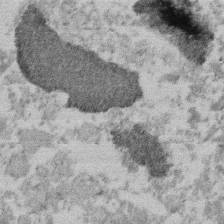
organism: Mouse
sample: Dividing mouse embryo 1 cell stage